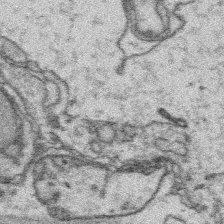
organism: Platynereis dumerilii